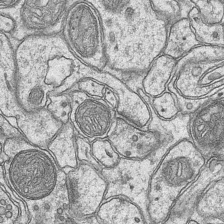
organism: Mouse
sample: CA1 Hippocampus